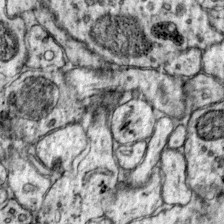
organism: Mouse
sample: Primary visual cortex